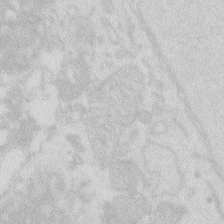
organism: Zebrafish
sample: Macrophage